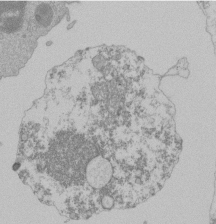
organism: Mouse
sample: Activated Pmel transgenic CD8+ T Cells